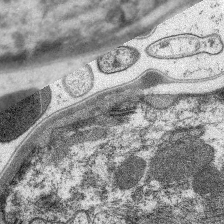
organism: C. elegans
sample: Pharynx